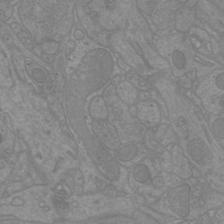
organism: Mouse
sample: Cortical neurons